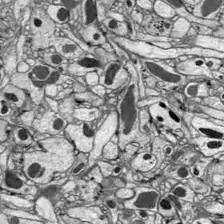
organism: Drosophila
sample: Optic lobe